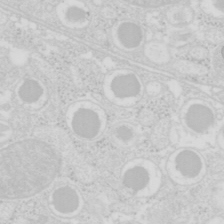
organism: Mouse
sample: Pancreas